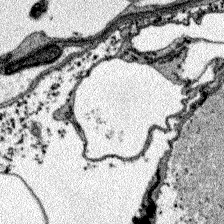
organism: Zebrafish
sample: Larval olfactory bulb